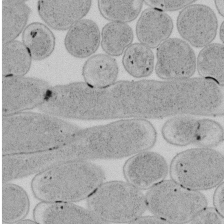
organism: E. coli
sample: Bacterial nucleoid